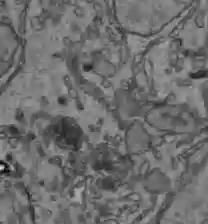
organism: C57BL Mouse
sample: Liver